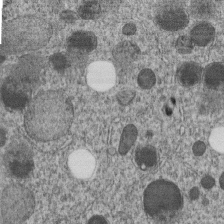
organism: C. elegans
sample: C. elegans embryo early stage